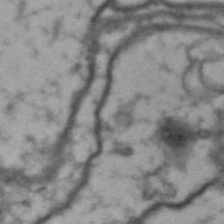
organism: Drosophila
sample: Brain